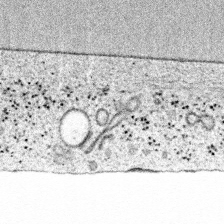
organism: Human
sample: HeLa cells